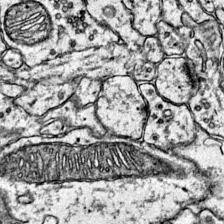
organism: Mouse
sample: Primary visual cortex